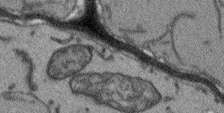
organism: Arabidopsis thaliana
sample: Root tip